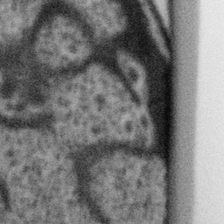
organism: Gemmata obscuriglobus